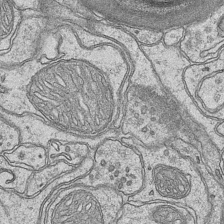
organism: Mouse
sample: CA1 Hippocampus